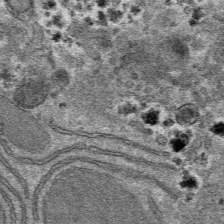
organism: Mouse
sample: Mouse hepatocytes